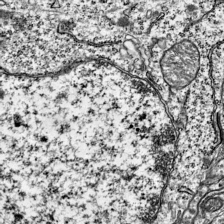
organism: Mouse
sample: Visual Cortex